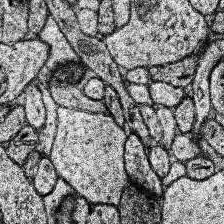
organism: Human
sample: Temporal Lobe